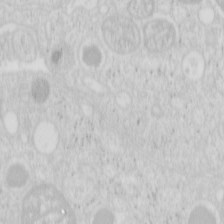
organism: Mouse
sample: Pancreas